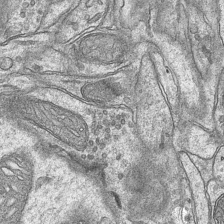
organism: Mouse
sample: CA1 Hippocampus